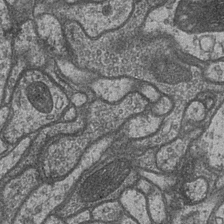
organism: Drosophila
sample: Optic medulla